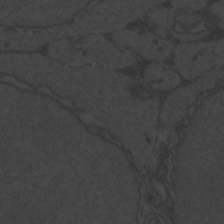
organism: Zebrafish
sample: Macrophage infected with Toxoplasma gondii